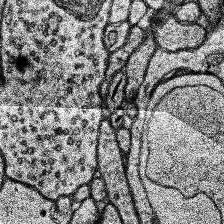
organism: Human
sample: Temporal Lobe